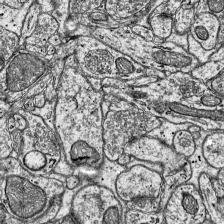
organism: Mouse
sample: Visual Cortex